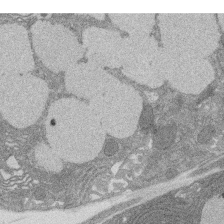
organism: Rat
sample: Salivary granule